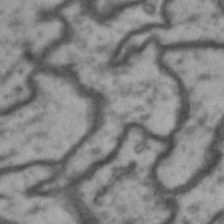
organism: Drosophila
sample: Brain